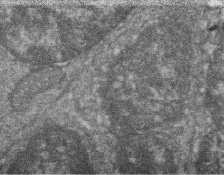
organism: Zebrafish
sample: Cilia; retinal pigment epithelium